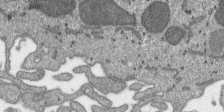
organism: Human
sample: Lung epithelial cells infected with SARS-CoV-2